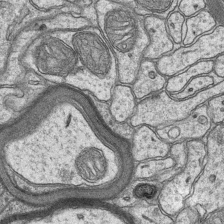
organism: Mouse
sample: CA1 Hippocampus